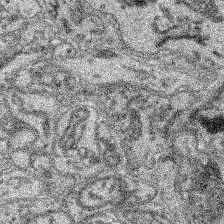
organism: Mouse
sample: Retina